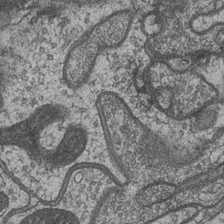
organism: Drosophila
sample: Optic medulla